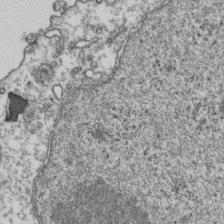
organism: Human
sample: Activated Jurkat CD4+ T cells